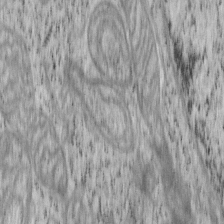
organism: Human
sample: HeLa cells